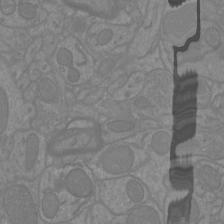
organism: Mouse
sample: Cortical neurons